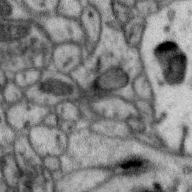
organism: Zebra finch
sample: Brain